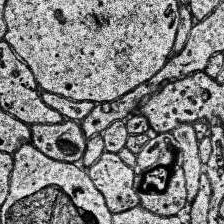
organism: Human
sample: Temporal Lobe